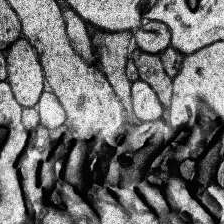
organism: Human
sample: Temporal Lobe